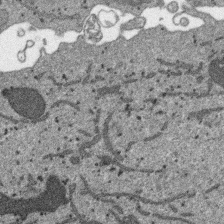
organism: Human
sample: Lung epithelial cells infected with SARS-CoV-2